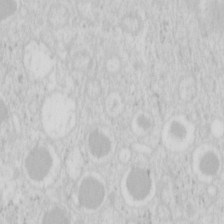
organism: Mouse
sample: Pancreas